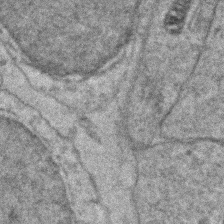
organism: Zebrafish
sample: Zebrafish embryo